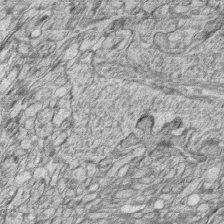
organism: Zebrafish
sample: synaptic ribbons in rod cells and cone cells